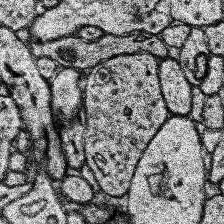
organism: Human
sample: Temporal Lobe